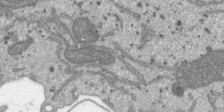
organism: Human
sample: Lung epithelial cells infected with SARS-CoV-2